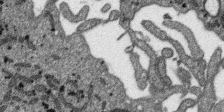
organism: Human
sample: Lung epithelial cells infected with SARS-CoV-2